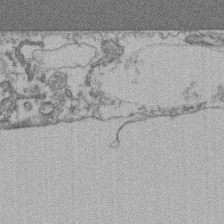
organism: Mouse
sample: T cell stromal cell synapse